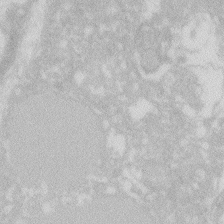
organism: Zebrafish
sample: Macrophage